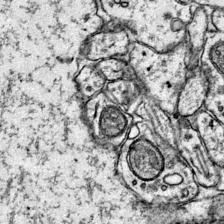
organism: Mouse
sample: Primary visual cortex